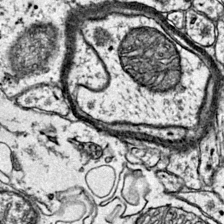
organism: Mouse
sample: Primary visual cortex